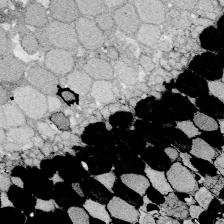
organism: Zebrafish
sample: Whole-Brain